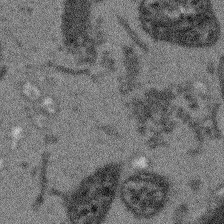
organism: Arabidopsis thaliana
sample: Root tip